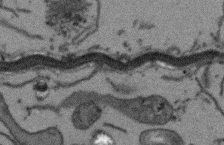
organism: Arabidopsis thaliana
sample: Root tip